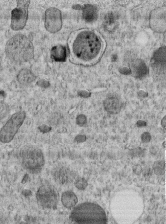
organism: C. elegans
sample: C. elegans embryo early stage